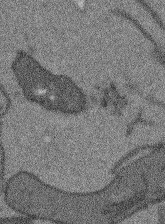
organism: Arabidopsis thaliana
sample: Root tip